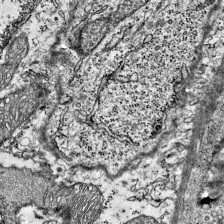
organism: Mouse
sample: Visual Cortex